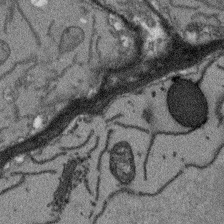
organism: Arabidopsis thaliana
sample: Root tip